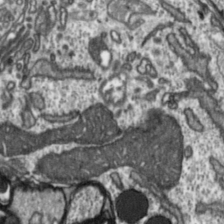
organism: Toxoplasma gondii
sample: Parasites in a vacuole inside a host cell